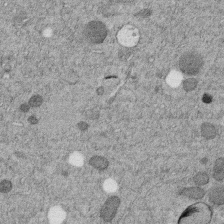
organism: C. elegans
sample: C. elegans embryo early stage